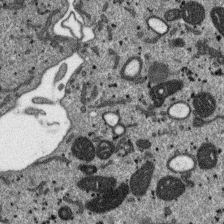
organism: Human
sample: Lung epithelial cells infected with SARS-CoV-2